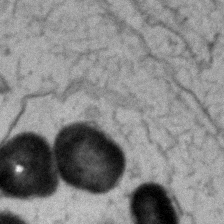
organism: Zebrafish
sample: Zebrafish embryo